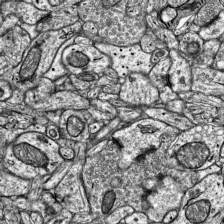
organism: Mouse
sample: Visual Cortex